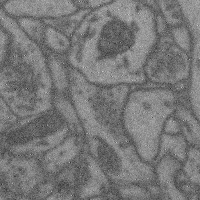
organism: Mouse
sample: Cerebral cortex